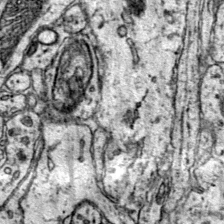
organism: Mouse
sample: Primary visual cortex